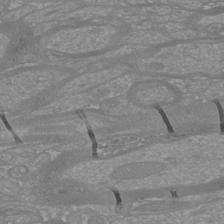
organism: Mouse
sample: Cortical neurons